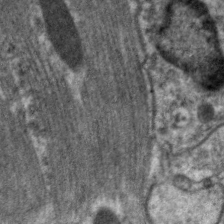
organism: C. elegans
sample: Pharynx